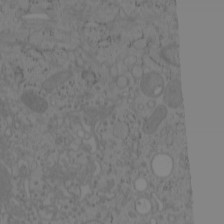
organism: Human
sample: HeLa cells